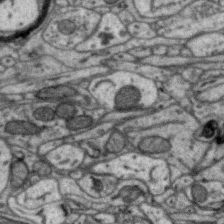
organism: Zebra finch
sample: Brain